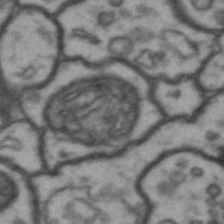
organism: Drosophila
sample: Brain